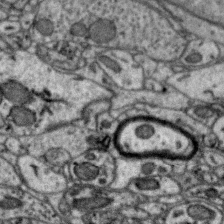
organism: Zebra finch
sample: Brain